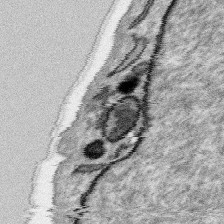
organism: Human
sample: HeLa cells